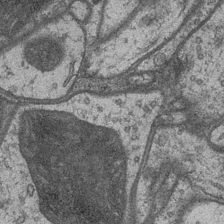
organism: Drosophila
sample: Optic medulla